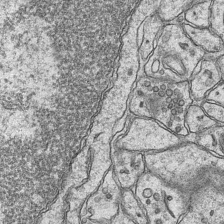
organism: Mouse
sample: CA1 Hippocampus